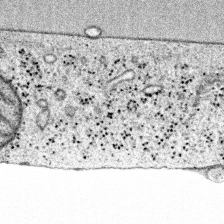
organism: Human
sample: HeLa cells